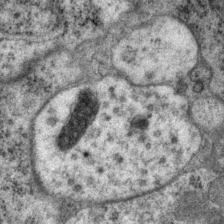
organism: P. pacificus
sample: Pharynx